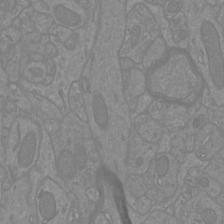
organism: Mouse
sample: Cortical neurons